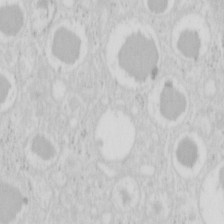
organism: Mouse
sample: Pancreas